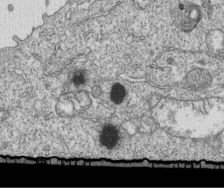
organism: Human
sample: HeLa cell HIV synapse